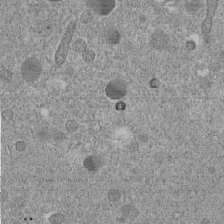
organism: C. elegans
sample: C. elegans embryo early stage